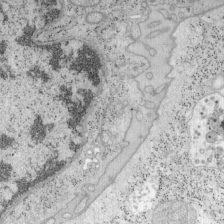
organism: Mouse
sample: OT-I killer T cells with ID8 ovarian cancer cells